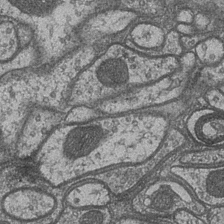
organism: Drosophila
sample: Optic medulla